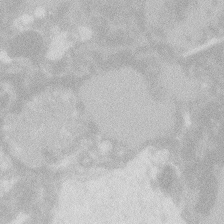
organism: Zebrafish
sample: Macrophage